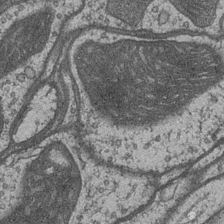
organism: Drosophila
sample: Optic medulla